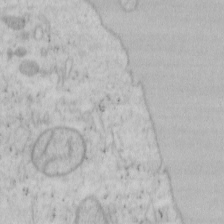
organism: Human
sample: HeLa cells